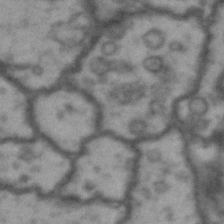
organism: Drosophila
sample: Brain